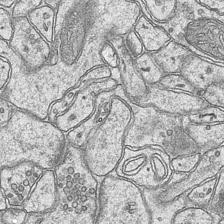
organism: Mouse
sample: CA1 Hippocampus